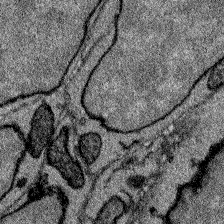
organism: Zebrafish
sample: Larval olfactory bulb